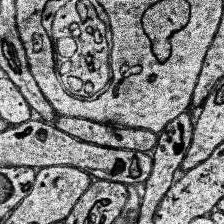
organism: Human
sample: Temporal Lobe